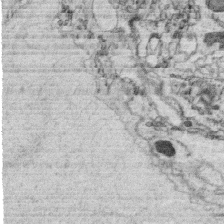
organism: C. elegans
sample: C. elegans oocyte; sperm cells